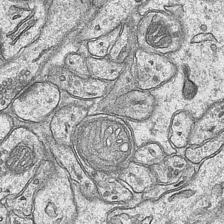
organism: Mouse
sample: CA1 Hippocampus